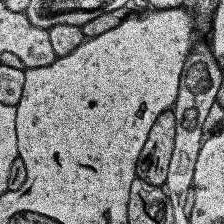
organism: Human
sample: Temporal Lobe